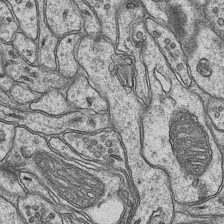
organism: Mouse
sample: CA1 Hippocampus